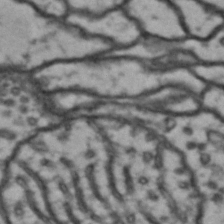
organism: Drosophila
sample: Brain